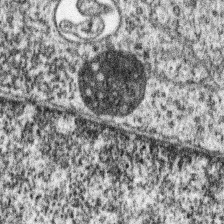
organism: Human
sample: HeLa cells